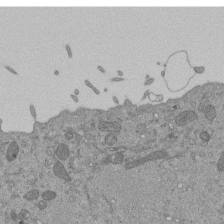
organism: Mouse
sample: ED-1 cell nuclei; centrioles